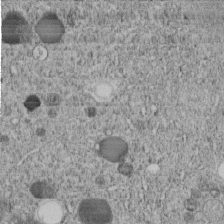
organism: C. elegans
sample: C. elegans embryo early stage